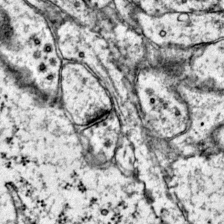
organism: Mouse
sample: Primary visual cortex